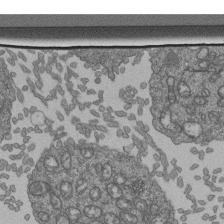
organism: Human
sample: Retinal organoid Rod and Cone cells